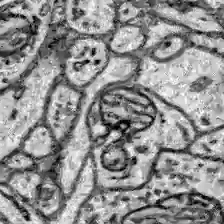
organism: Zebrafish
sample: Brain